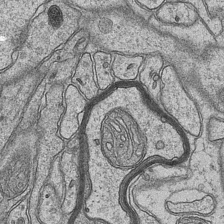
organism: Mouse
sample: CA1 Hippocampus